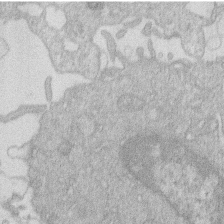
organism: Human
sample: Macrophage cells